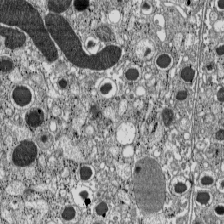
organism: C57BL Mouse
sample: Pancreatic islet